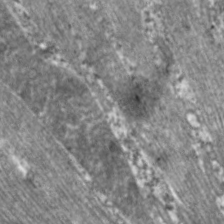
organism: C. elegans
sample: Pharynx